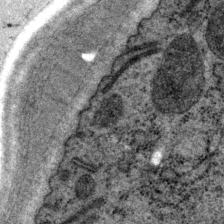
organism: P. pacificus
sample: Pharynx